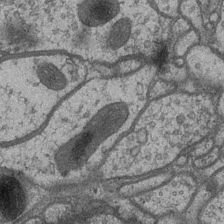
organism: Drosophila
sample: Optic medulla